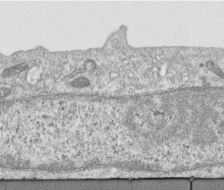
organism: Human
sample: Centriole in RPE cells